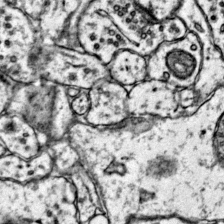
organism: Mouse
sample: Primary visual cortex